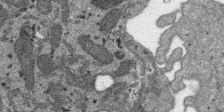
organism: Human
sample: Lung epithelial cells infected with SARS-CoV-2